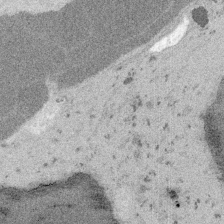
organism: Embia sp.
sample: Silk gland